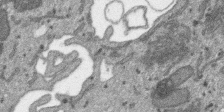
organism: Human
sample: Lung epithelial cells infected with SARS-CoV-2